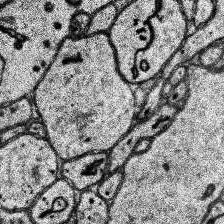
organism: Human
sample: Temporal Lobe